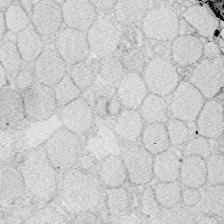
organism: Zebrafish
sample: Whole-Brain